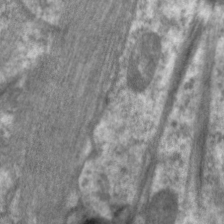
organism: C. elegans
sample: Pharynx